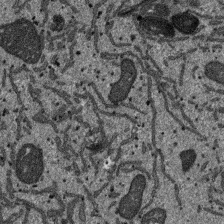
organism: Human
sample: Lung epithelial cells infected with SARS-CoV-2